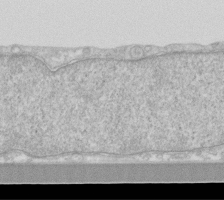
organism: Human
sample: Fibroblast cells